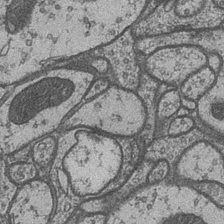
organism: Drosophila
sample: Optic medulla